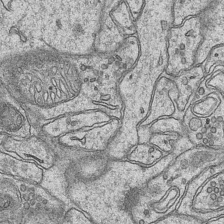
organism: Mouse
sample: CA1 Hippocampus